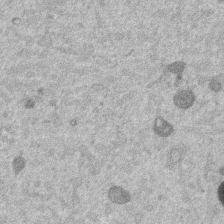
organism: Mouse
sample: Dividing mouse embryo 1 cell stage